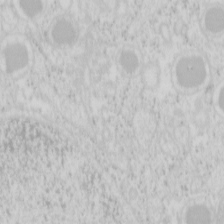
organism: Mouse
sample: Pancreas